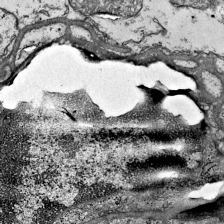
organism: Mouse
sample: Visual Cortex